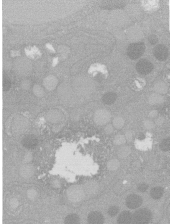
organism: C. elegans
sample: C. elegans oocyte; sperm cells